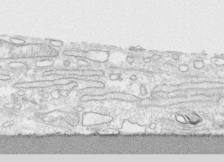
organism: Human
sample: CRL-1474